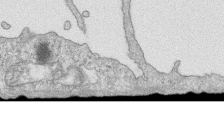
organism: Human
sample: HeLa cell HIV synapse